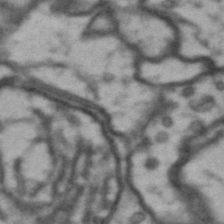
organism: Drosophila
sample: Brain